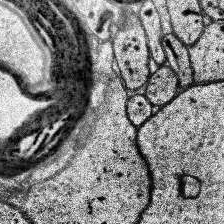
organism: Human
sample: Temporal Lobe